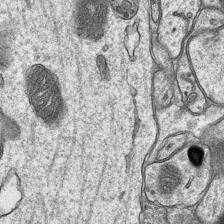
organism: Mouse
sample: CA1 Hippocampus